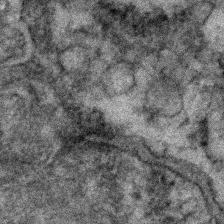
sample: Kidney